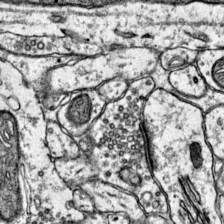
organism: Mouse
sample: Primary visual cortex